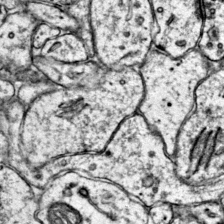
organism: Mouse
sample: Primary visual cortex